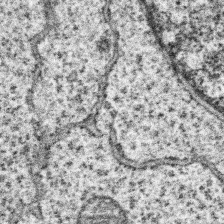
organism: Human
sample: HeLa cells